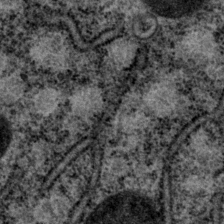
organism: P. pacificus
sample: Pharynx